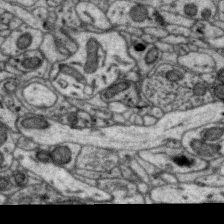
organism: Zebra finch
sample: Brain